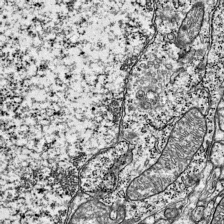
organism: Mouse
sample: Visual Cortex